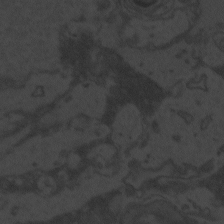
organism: Zebrafish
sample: Macrophage infected with Toxoplasma gondii